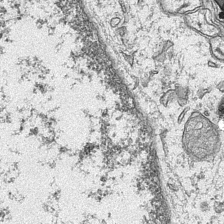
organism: Mouse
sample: CA1 Hippocampus